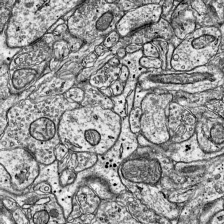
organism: Mouse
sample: Visual Cortex